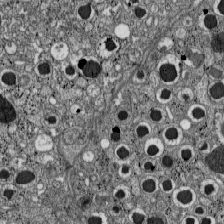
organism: C57BL Mouse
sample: Pancreatic islet